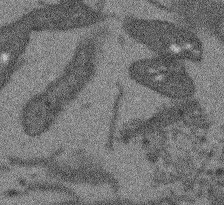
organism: Arabidopsis thaliana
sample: Root tip